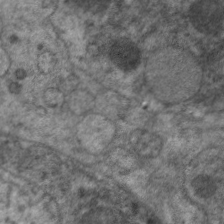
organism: C. elegans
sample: Pharynx